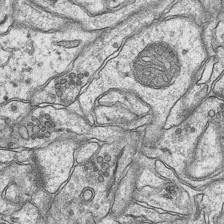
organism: Mouse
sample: CA1 Hippocampus